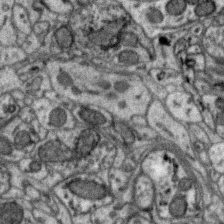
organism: Zebra finch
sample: Brain